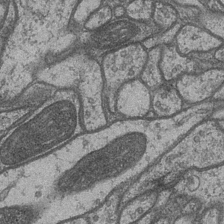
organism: Drosophila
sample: Optic medulla